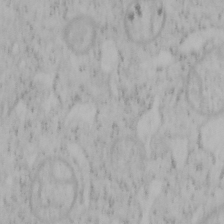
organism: Mouse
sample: OT-I killer T cells with ID8 ovarian cancer cells